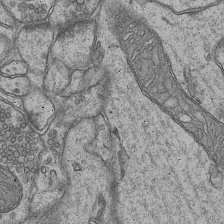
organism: Mouse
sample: CA1 Hippocampus